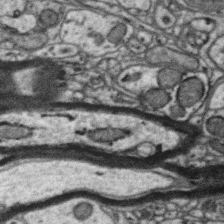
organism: Zebra finch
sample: Brain